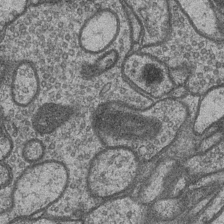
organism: Drosophila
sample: Optic medulla